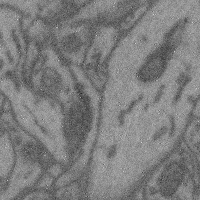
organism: Mouse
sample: Cerebral cortex